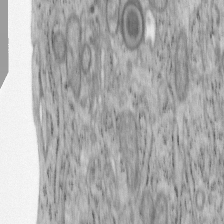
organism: Human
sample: HeLa cells